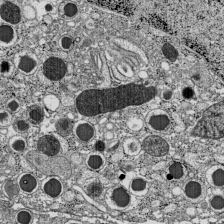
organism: C57BL Mouse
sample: Pancreatic islet